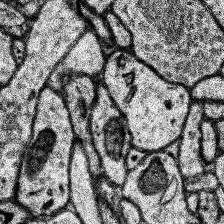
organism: Human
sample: Temporal Lobe